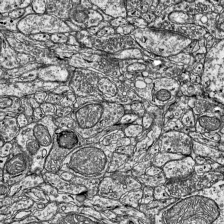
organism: Mouse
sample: Visual Cortex